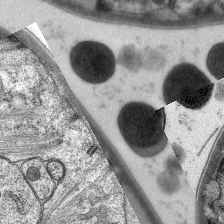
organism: C. elegans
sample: Pharynx